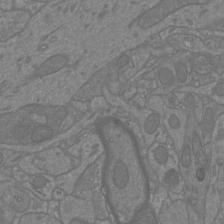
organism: Mouse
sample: Cortical neurons